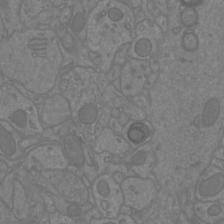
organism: Mouse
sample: Cortical neurons